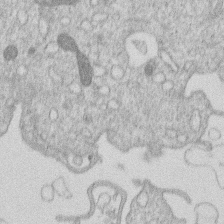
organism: Human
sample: Macrophage cells